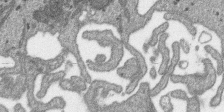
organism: Human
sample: Lung epithelial cells infected with SARS-CoV-2